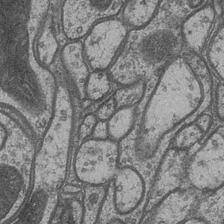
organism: Drosophila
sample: Optic medulla